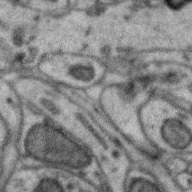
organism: Zebra finch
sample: Brain